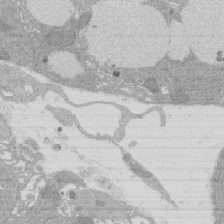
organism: Rat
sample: Salivary granule